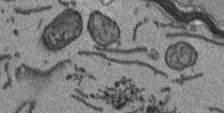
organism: Arabidopsis thaliana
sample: Root tip